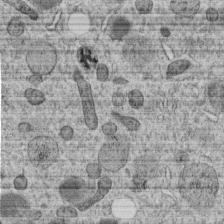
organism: C. elegans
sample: C. elegans embryo early stage